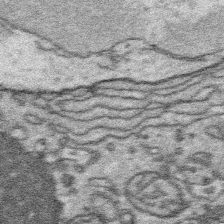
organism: Platynereis dumerilii